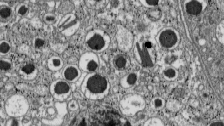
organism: C57BL Mouse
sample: Pancreatic islet